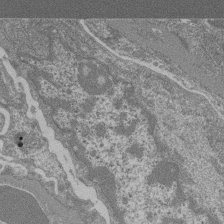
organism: Mouse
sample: Glomerulus